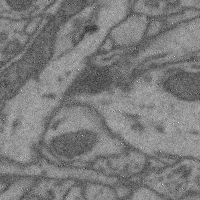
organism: Mouse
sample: Cerebral cortex